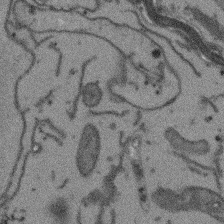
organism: Arabidopsis thaliana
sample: Root tip